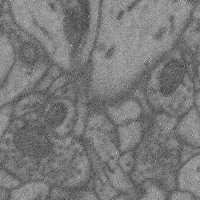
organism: Mouse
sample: Cerebral cortex